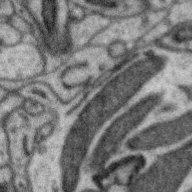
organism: Zebra finch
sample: Brain